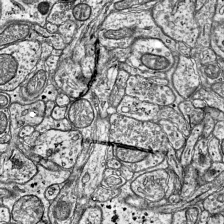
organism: Mouse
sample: Visual Cortex